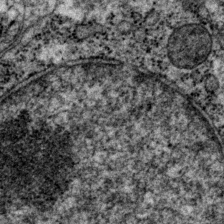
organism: P. pacificus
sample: Pharynx